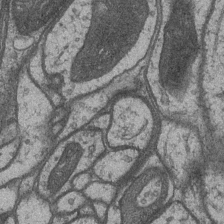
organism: Drosophila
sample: Optic medulla